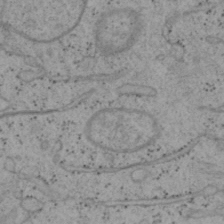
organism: Human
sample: HeLa cells